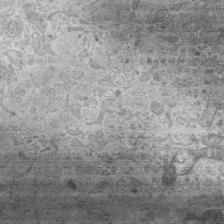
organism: Mouse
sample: Centriole in ependymal cells